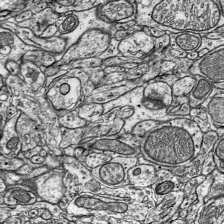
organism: Mouse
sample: Visual Cortex